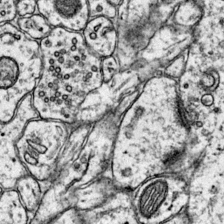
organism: Mouse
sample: Primary visual cortex